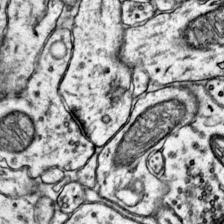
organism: Mouse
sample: Primary visual cortex